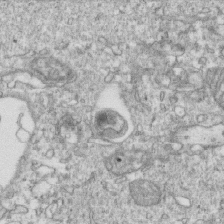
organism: Mouse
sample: Activated OT-1 CD8+ T cells